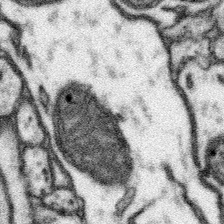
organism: Mouse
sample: Somatosensory cortex neuropil